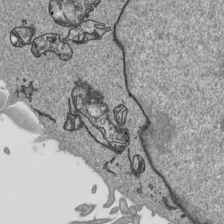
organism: Human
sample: Mitochondria in HCT116 cells